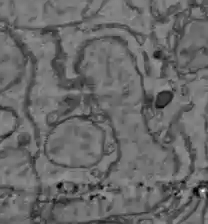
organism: C57BL Mouse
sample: Liver